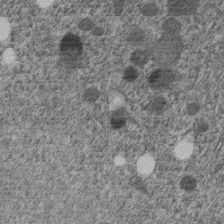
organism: C. elegans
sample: C. elegans embryo early stage